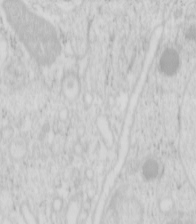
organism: Mouse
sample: Pancreas